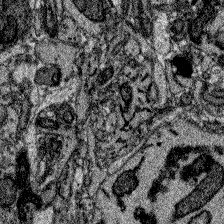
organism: Zebrafish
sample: Larval olfactory bulb